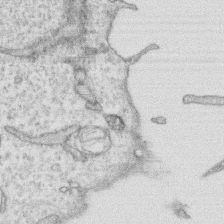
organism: Human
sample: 1205lu cells